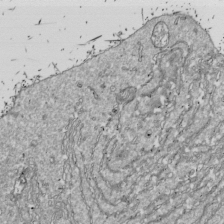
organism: Drosophila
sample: Cell division; meiosis; drosophila spermatocytes